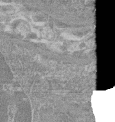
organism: Mouse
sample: Glomerulus